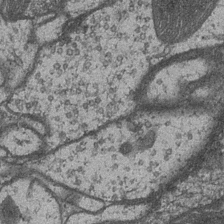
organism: Drosophila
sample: Optic medulla